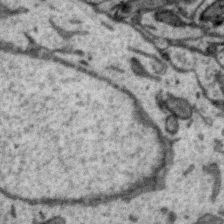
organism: Zebra finch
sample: Brain